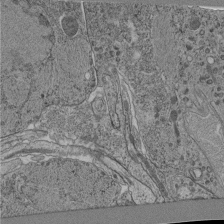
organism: C. elegans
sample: C. elegans pharynx